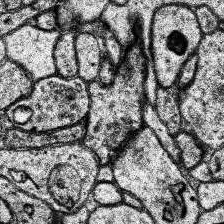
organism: Human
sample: Temporal Lobe